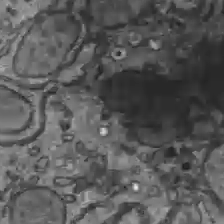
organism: C57BL Mouse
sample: Liver